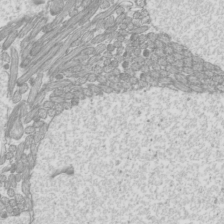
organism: Mouse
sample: Cilia; mouse epididymis